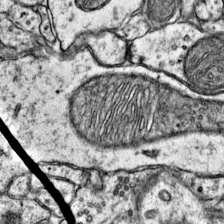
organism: Mouse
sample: Primary visual cortex